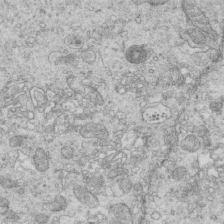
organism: Mouse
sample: Multiciliated cells